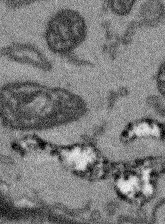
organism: Arabidopsis thaliana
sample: Root tip